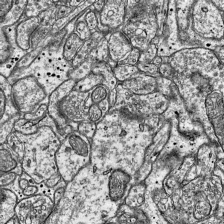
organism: Mouse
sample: Visual Cortex